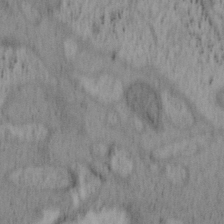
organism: Mouse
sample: OT-I killer T cells with ID8 ovarian cancer cells